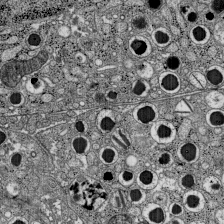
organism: C57BL Mouse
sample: Pancreatic islet